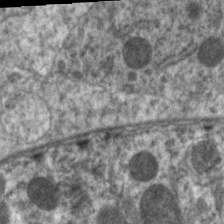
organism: C. elegans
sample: Pharynx